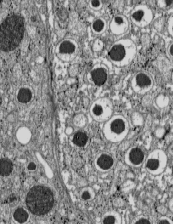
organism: C57BL Mouse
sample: Pancreatic islet